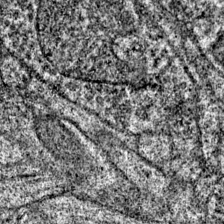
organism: Mouse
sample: Primary visual cortex